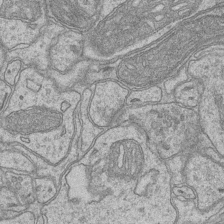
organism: Mouse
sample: CA1 Hippocampus